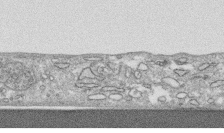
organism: Human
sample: CRL-1474